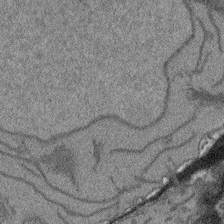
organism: Arabidopsis thaliana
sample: Root tip